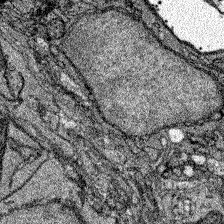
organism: Zebrafish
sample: Larval olfactory bulb